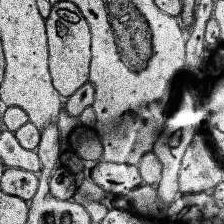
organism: Human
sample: Temporal Lobe